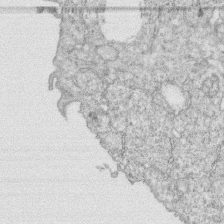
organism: Human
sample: HeLa cell HIV synapse